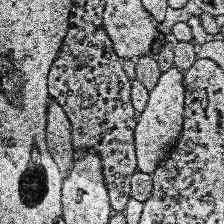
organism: Human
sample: Temporal Lobe